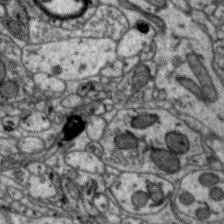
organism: Zebra finch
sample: Brain